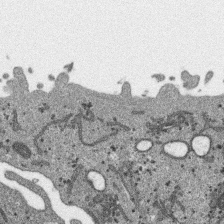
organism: Human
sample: Lung epithelial cells infected with SARS-CoV-2